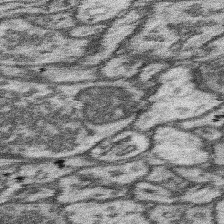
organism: Mouse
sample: Somatosensory cortex neuropil